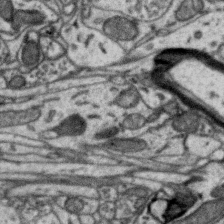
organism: Zebra finch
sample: Brain